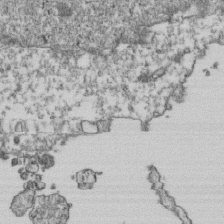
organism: Human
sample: Activated Jurkat CD4+ T cells